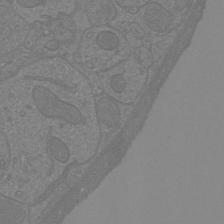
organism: Mouse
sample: Cortical neurons